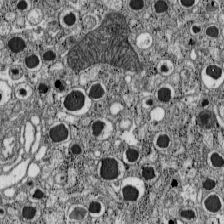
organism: C57BL Mouse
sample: Pancreatic islet